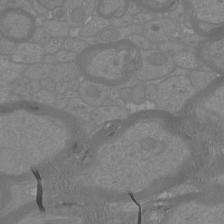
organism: Mouse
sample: Cortical neurons